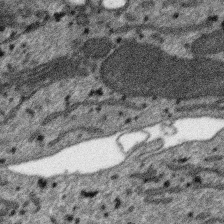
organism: Human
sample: Lung epithelial cells infected with SARS-CoV-2